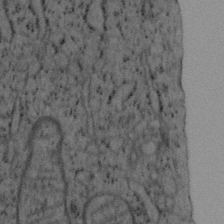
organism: Human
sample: HeLa cells